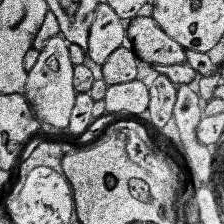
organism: Human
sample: Temporal Lobe